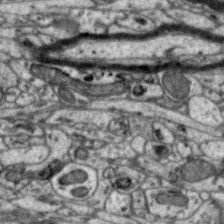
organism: Zebra finch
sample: Brain